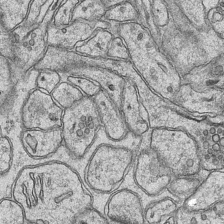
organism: Mouse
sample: CA1 Hippocampus